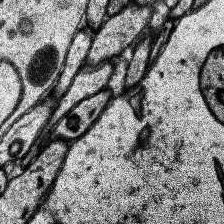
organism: Human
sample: Temporal Lobe